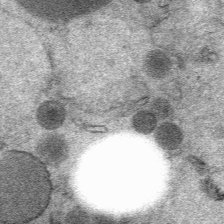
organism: Mouse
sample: Mouse Salivary gland